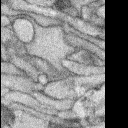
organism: Rabbit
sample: Retina